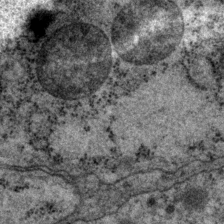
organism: P. pacificus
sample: Pharynx